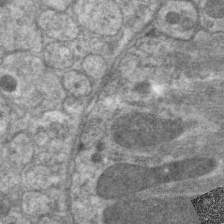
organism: C. elegans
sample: Pharynx